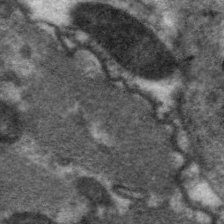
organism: C. elegans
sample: Pharynx